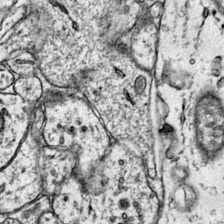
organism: Mouse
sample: Primary visual cortex